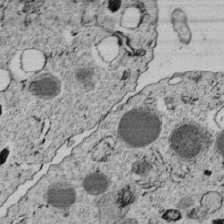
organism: C. elegans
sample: C. elegans embryo early stage